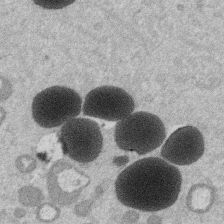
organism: Mouse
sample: Dividing mouse embryo 1 cell stage